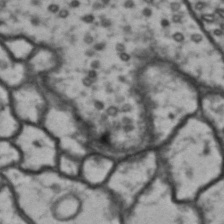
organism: Drosophila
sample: Brain